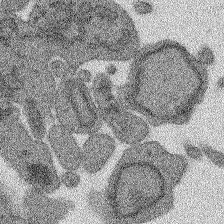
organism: Human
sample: HeLa cells